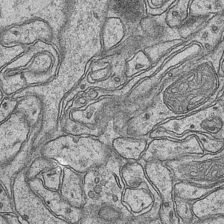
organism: Mouse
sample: CA1 Hippocampus